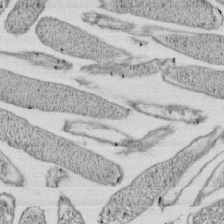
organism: E. coli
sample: Bacterial nucleoid